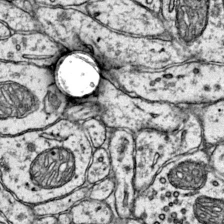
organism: Mouse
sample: Primary visual cortex